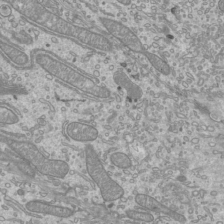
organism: Mouse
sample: Cilia; mouse epididymis